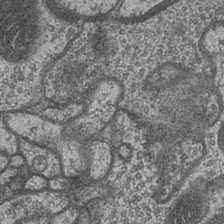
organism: Drosophila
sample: Optic medulla